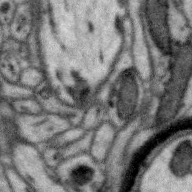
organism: Zebra finch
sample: Brain